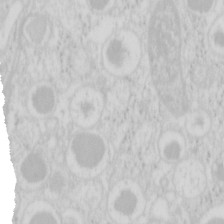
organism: Mouse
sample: Pancreas